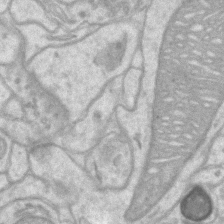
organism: Mouse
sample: CA1 Hippocampus